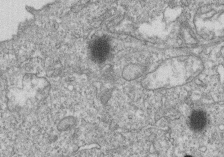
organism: Human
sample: HeLa cell HIV synapse